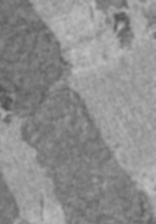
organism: C57BL Mouse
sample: Heart